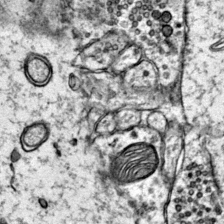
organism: Mouse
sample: Primary visual cortex